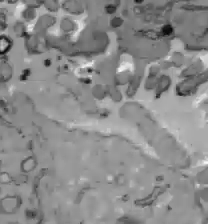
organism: C57BL Mouse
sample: Liver